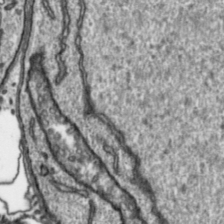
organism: Toxoplasma gondii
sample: Parasites in a vacuole inside a host cell